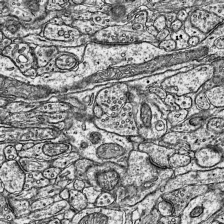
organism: Mouse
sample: Visual Cortex